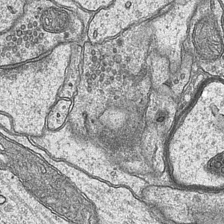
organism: Mouse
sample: CA1 Hippocampus